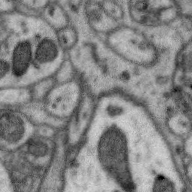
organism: Zebra finch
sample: Brain